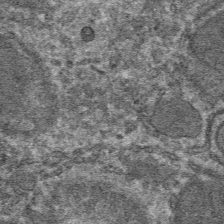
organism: Mouse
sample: Mouse hepatocytes